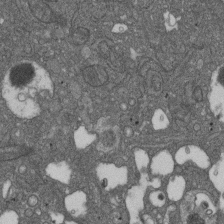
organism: Drosophila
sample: Nephrocyte